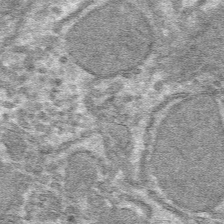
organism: Mouse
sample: Mouse hepatocytes